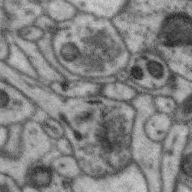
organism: Zebra finch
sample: Brain